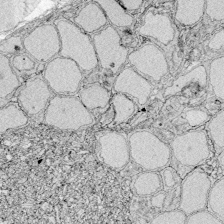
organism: Zebrafish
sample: Whole-Brain